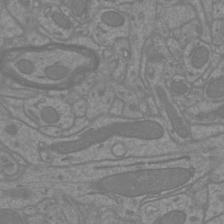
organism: Mouse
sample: Cortical neurons